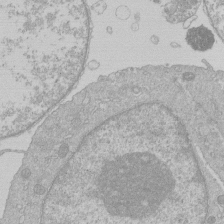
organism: Human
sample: Macrophage cells